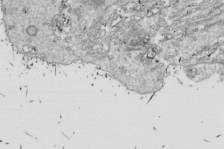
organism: Drosophila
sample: Cell division; meiosis; drosophila spermatocytes